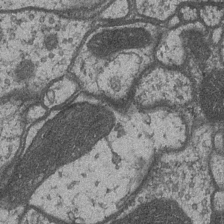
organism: Drosophila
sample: Optic medulla